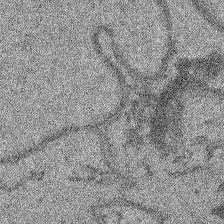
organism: Human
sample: HeLa cells